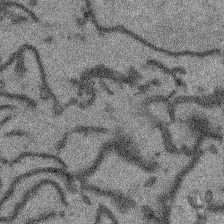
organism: Arabidopsis thaliana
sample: Root tip